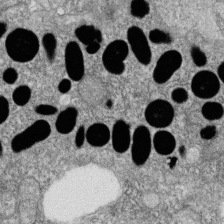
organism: Zebrafish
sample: Cilia; retinal pigment epithelium